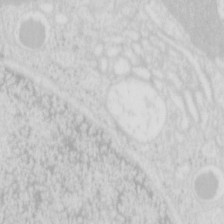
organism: Mouse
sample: Pancreas